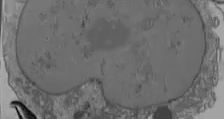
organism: Human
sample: Jurkat E6-1 and CD4 cells